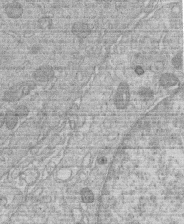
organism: Human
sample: Macrophage cells